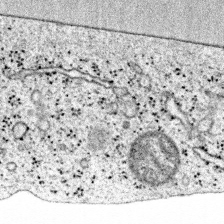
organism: Human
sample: HeLa cells